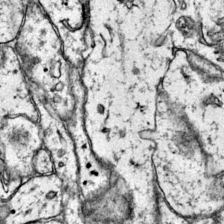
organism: Mouse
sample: Primary visual cortex